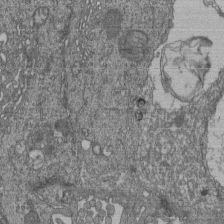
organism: Human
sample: Retinal organoid Rod and Cone cells